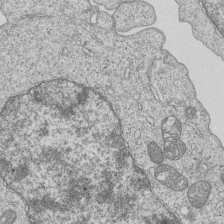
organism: Human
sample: MDA-MB-231 cells